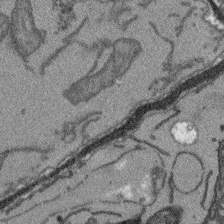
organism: Arabidopsis thaliana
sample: Root tip